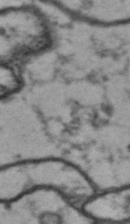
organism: Drosophila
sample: Brain